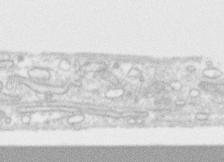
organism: Human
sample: CRL-1474